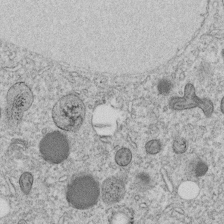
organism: C. elegans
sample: C. elegans embryo early stage